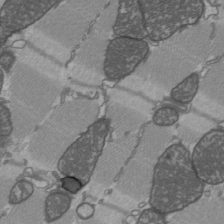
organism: C57BL Mouse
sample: Heart